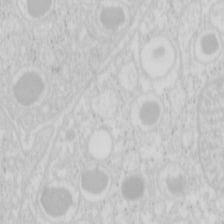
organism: Mouse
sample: Pancreas